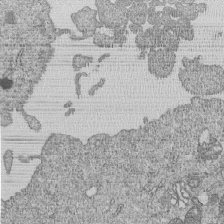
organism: Human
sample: MDA-MB-231 cells